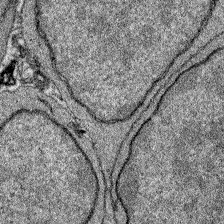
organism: Zebrafish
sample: Larval olfactory bulb